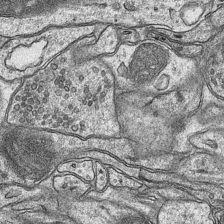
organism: Mouse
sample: CA1 Hippocampus